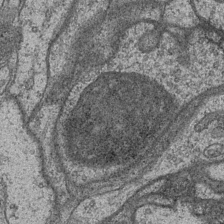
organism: Drosophila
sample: Optic medulla